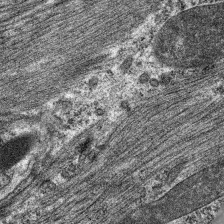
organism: C. elegans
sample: Pharynx